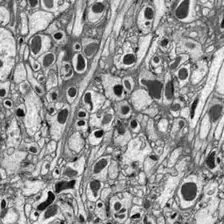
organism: Drosophila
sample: Optic lobe